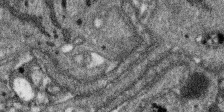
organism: Human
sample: Lung epithelial cells infected with SARS-CoV-2